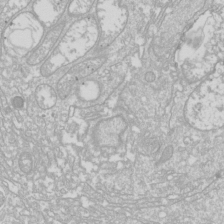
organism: Drosophila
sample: Cell division; meiosis; drosophila spermatocytes